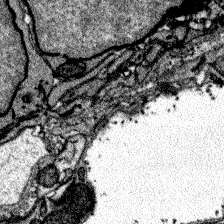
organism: Zebrafish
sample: Larval olfactory bulb